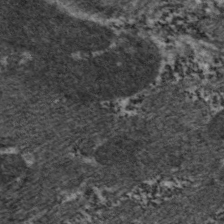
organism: C. elegans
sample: Pharynx